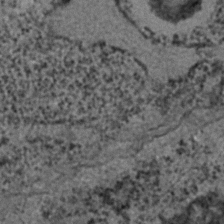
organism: C. elegans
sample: C. elegans embryo